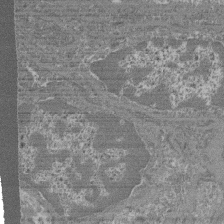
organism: Mouse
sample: Glomerulus